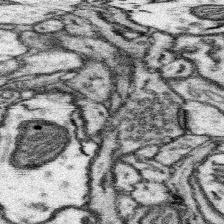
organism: Mouse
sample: Somatosensory cortex neuropil